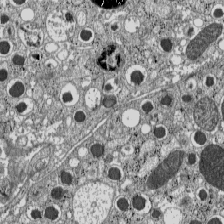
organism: C57BL Mouse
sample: Pancreatic islet